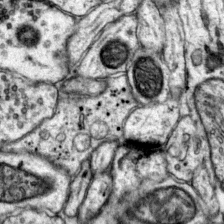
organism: Mouse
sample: Primary visual cortex